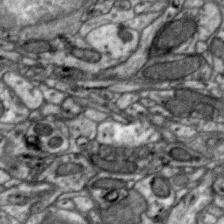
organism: Zebra finch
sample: Brain